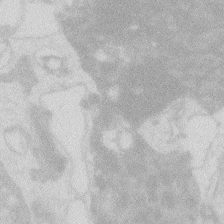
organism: Zebrafish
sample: Macrophage